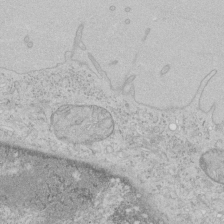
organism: Human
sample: Mitochondria in HCT116 cells